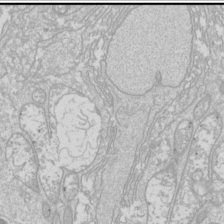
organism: Drosophila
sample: Cell division; meiosis; drosophila spermatocytes